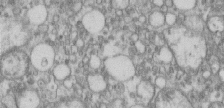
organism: Human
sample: Centriole in RPE cells